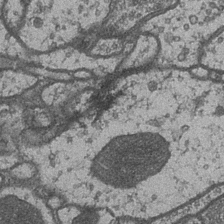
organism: Drosophila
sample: Optic medulla